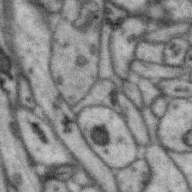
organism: Zebra finch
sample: Brain